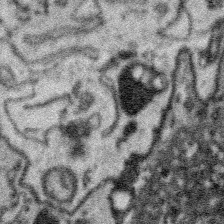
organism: Platynereis dumerilii